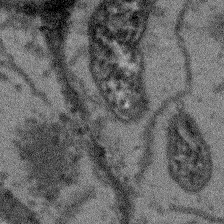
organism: Arabidopsis thaliana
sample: Root tip